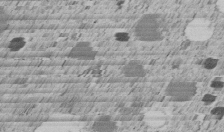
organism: C. elegans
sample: C. elegans embryo early stage